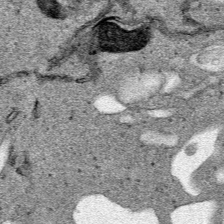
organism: Human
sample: Mitochondria in HCT116 cells